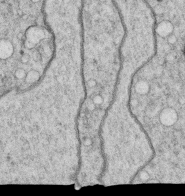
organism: C. elegans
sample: C. elegans oocyte; sperm cells